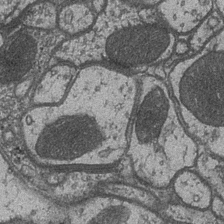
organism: Drosophila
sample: Optic medulla